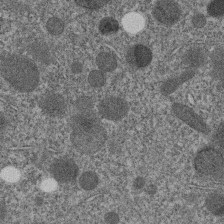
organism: C. elegans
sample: C. elegans embryo early stage